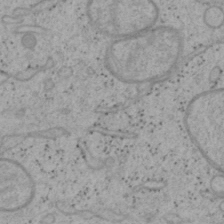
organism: Human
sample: HeLa cells